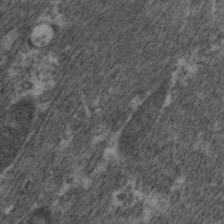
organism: C. elegans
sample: Pharynx